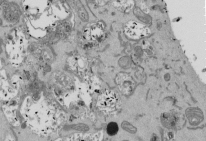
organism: Mouse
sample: ED-1 cell nuclei; centrioles